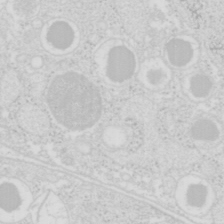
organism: Mouse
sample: Pancreas